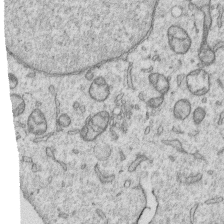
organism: Human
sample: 1205lu cells